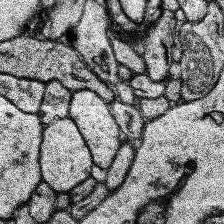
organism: Human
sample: Temporal Lobe